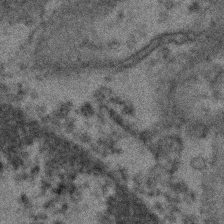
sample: Kidney